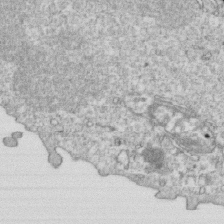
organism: Mouse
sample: Activated OT-1 CD8+ T cells